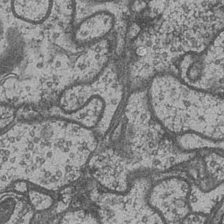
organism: Drosophila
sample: Optic medulla